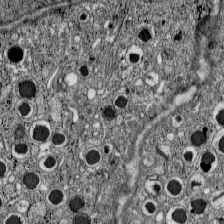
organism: C57BL Mouse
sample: Pancreatic islet